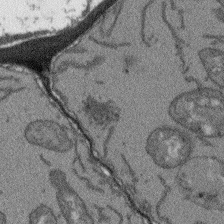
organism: Arabidopsis thaliana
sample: Root tip